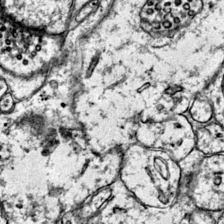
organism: Mouse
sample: Primary visual cortex